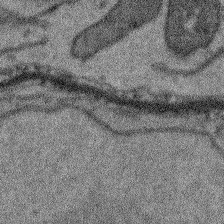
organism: Arabidopsis thaliana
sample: Root tip